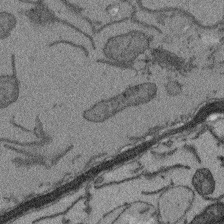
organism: Arabidopsis thaliana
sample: Root tip